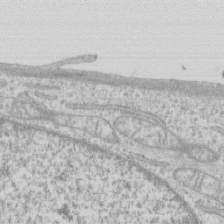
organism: Human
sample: CRL-1474